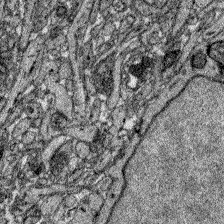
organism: Zebrafish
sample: Larval olfactory bulb